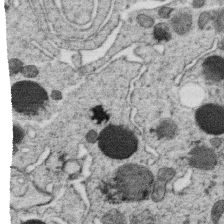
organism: C. elegans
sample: C. elegans oocyte; sperm cells